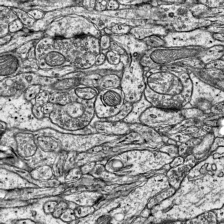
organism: Mouse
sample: Visual Cortex